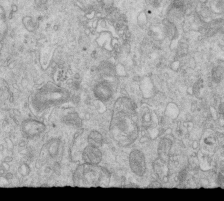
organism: Mouse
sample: Multiciliated cells